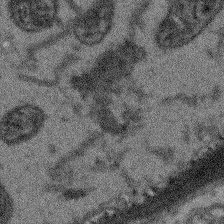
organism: Arabidopsis thaliana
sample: Root tip